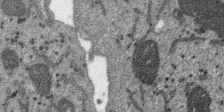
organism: Human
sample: Lung epithelial cells infected with SARS-CoV-2